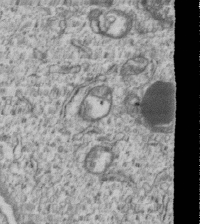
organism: Human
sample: MDA-MB-231 cells